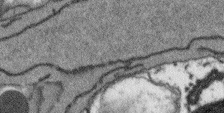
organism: Arabidopsis thaliana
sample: Root tip